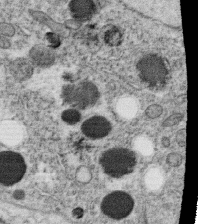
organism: C. elegans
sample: C. elegans oocyte; sperm cells